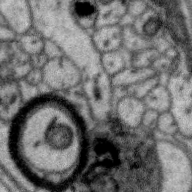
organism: Zebra finch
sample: Brain